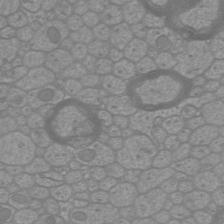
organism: Mouse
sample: Cortical neurons